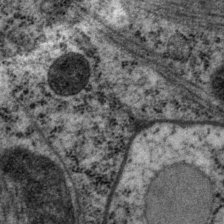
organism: P. pacificus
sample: Pharynx